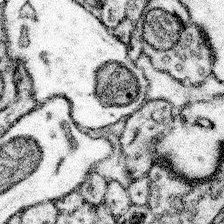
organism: Mouse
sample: Somatosensory cortex neuropil